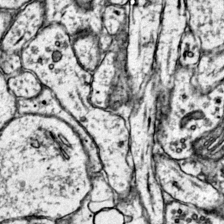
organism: Mouse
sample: Primary visual cortex